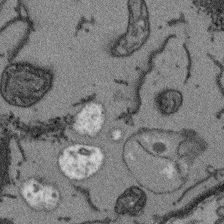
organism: Arabidopsis thaliana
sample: Root tip